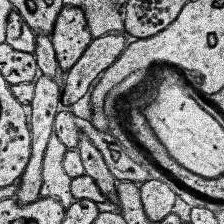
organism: Human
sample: Temporal Lobe